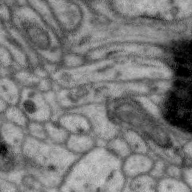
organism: Zebra finch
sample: Brain